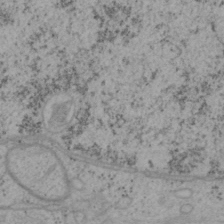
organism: Human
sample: HeLa cells